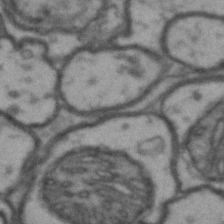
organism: Drosophila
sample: Brain